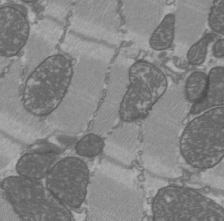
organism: C57BL Mouse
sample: Heart